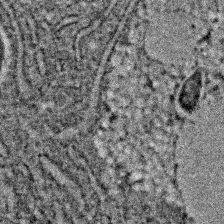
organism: C. elegans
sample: C. elegans embryo